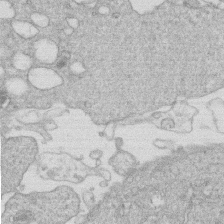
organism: Human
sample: Macrophage cells